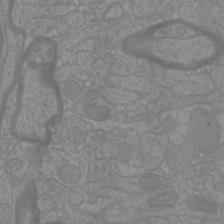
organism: Mouse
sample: Cortical neurons